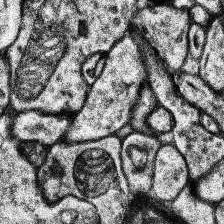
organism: Human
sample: Temporal Lobe